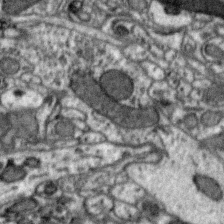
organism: Zebra finch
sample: Brain